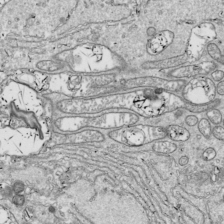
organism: Drosophila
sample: Cell division; meiosis; drosophila spermatocytes